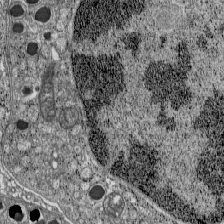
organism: C57BL Mouse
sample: Pancreatic islet